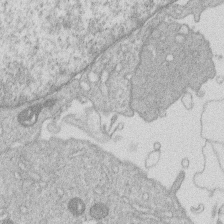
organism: Human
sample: Macrophage cells